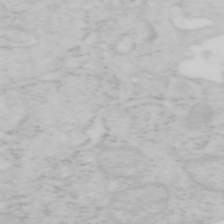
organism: Mouse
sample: OT-I killer T cells with ID8 ovarian cancer cells